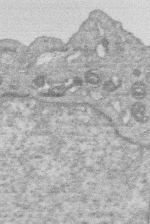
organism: Human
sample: Macrophage cells